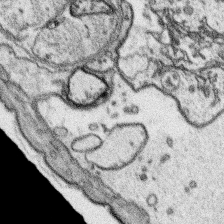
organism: Platynereis dumerilii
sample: Parapodia